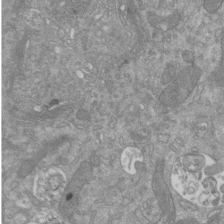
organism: Mouse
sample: ED-1 cell nuclei; centrioles